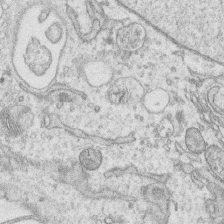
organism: Human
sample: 1205lu cells